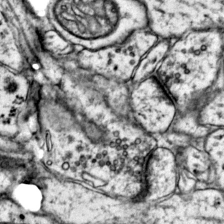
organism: Mouse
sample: Primary visual cortex